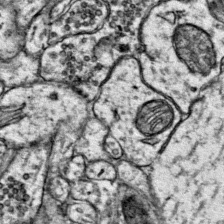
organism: Mouse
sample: Primary visual cortex